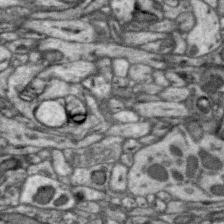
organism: Zebra finch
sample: Brain